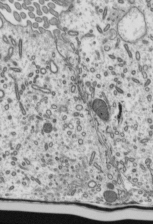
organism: Mouse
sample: Mouse epididymis efferent ductule cilia